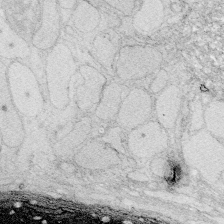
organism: Zebrafish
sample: Whole-Brain